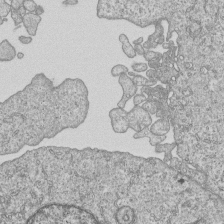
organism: Human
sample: MDA-MB-231 cells